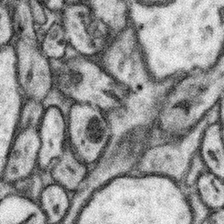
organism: Mouse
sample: Somatosensory cortex neuropil